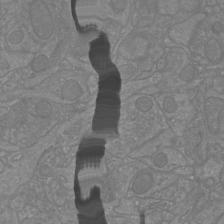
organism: Mouse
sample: Cortical neurons